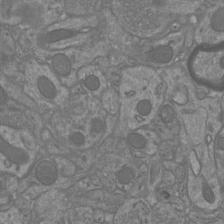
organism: Mouse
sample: Cortical neurons